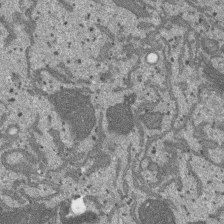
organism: Human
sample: Lung epithelial cells infected with SARS-CoV-2